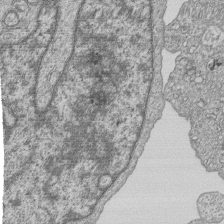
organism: Human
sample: MDA-MB-231 cells